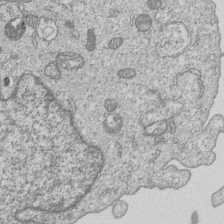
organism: Human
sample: MDA-MB-231 cells